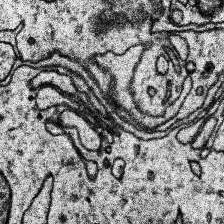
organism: Human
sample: Temporal Lobe